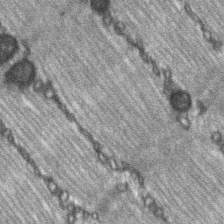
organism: C57BL Mouse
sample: Soleus